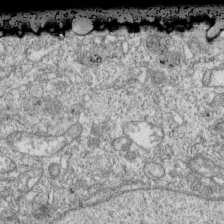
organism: Human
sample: HeLa cell HIV synapse